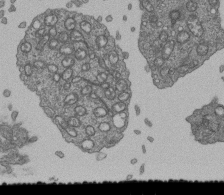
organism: Human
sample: Retinal organoid Rod and Cone cells